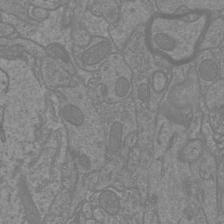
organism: Mouse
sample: Cortical neurons